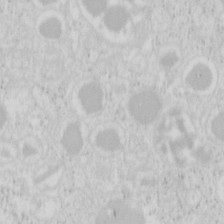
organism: Mouse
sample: Pancreas